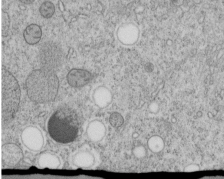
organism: C. elegans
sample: C. elegans embryo early stage